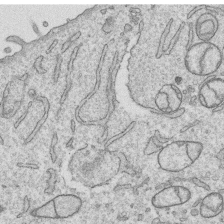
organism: Human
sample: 1205lu cells